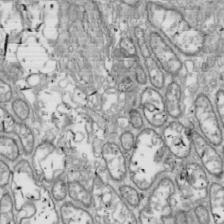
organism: Drosophila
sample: Cell division; meiosis; drosophila spermatocytes